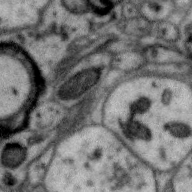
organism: Zebra finch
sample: Brain